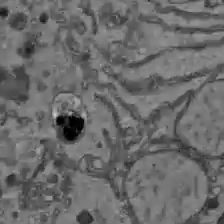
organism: C57BL Mouse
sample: Liver